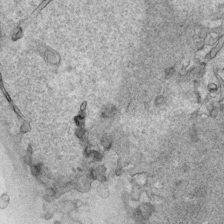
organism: Human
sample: Mitochondria in HCT116 cells